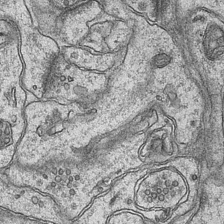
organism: Mouse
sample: CA1 Hippocampus